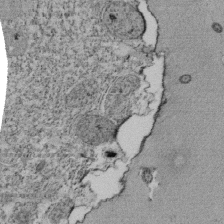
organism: Tetrahymena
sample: Cilia in tetrahymena